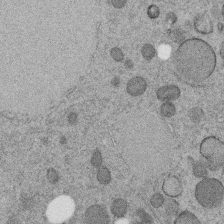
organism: C. elegans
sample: C. elegans embryo early stage